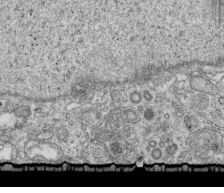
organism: Human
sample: HeLa cell HIV synapse